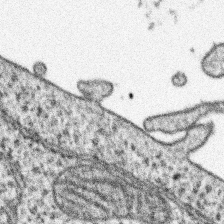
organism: Human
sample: HeLa cells